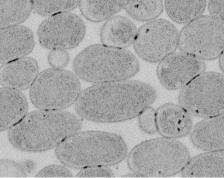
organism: E. coli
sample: Bacterial nucleoid